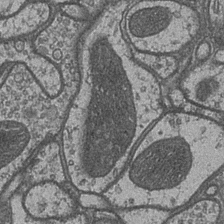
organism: Drosophila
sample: Optic medulla